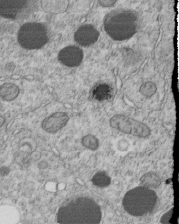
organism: C. elegans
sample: C. elegans embryo early stage